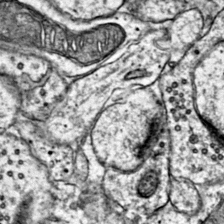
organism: Mouse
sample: Primary visual cortex